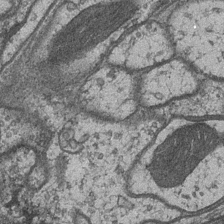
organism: Drosophila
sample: Optic medulla